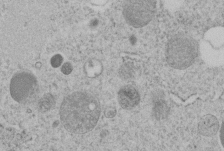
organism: C. elegans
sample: C. elegans embryo early stage